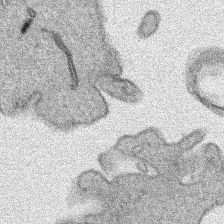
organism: Human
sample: Mitochondria in HCT116 cells